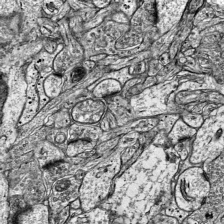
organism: Mouse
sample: Visual Cortex